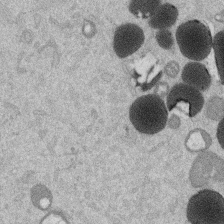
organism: Mouse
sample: Dividing mouse embryo 1 cell stage